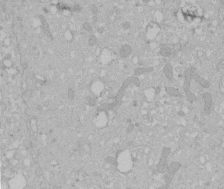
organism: Human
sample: Melanocyte Keratinocyte synapse skin construct